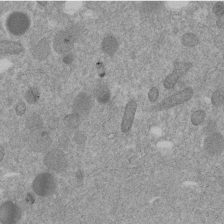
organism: C. elegans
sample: C. elegans embryo early stage